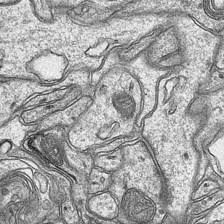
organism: Mouse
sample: CA1 Hippocampus